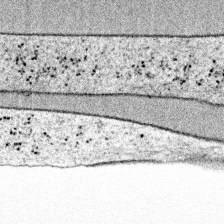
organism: Human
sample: HeLa cells